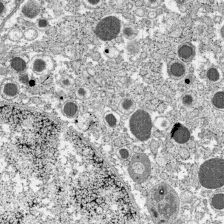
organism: C57BL Mouse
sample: Pancreatic islet